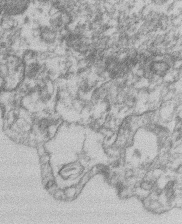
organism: Mouse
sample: T cell stromal cell synapse